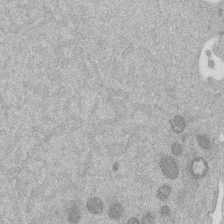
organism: Mouse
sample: Dividing mouse embryo 1 cell stage